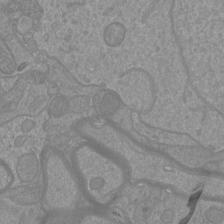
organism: Mouse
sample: Cortical neurons